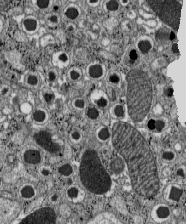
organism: C57BL Mouse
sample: Pancreatic islet